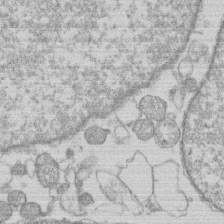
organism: Human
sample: Macrophage cells